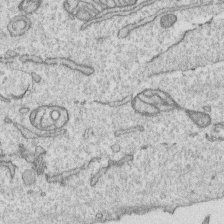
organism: Human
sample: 1205lu cells